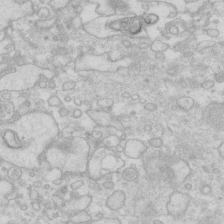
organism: Human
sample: Fibroblast cells